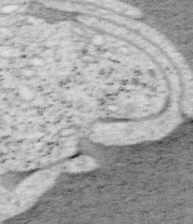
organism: Mouse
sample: OT-I killer T cells with ID8 ovarian cancer cells